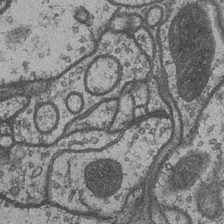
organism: Drosophila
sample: Optic medulla